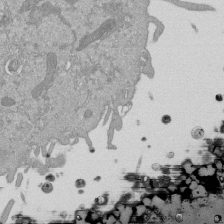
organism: Mouse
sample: ED-1 cell nuclei; centrioles